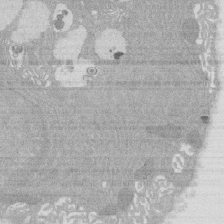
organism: Rat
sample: Salivary granule